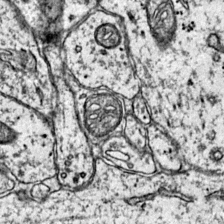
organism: Mouse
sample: Primary visual cortex